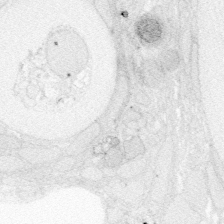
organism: Zebrafish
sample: Whole-Brain